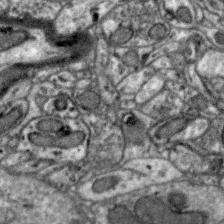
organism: Zebra finch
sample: Brain